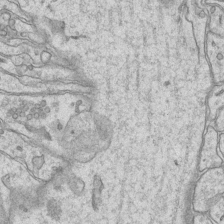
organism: Mouse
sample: CA1 Hippocampus